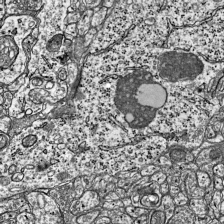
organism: Mouse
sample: Visual Cortex